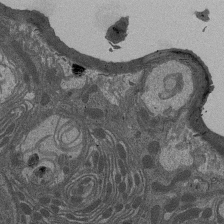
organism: Drosophila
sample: Antenna